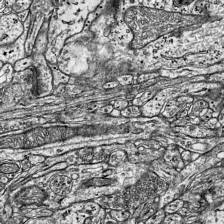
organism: Mouse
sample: Visual Cortex